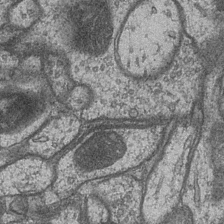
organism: Drosophila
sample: Optic medulla